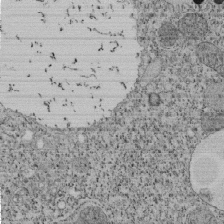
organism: Tetrahymena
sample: Cilia in tetrahymena